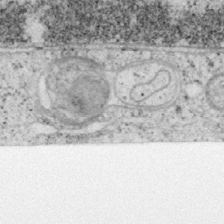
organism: Mouse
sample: OT-I killer T cells with ID8 ovarian cancer cells